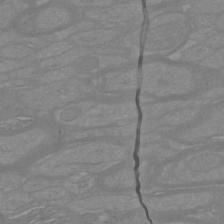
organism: Mouse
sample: Cortical neurons